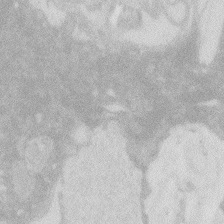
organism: Zebrafish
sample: Macrophage